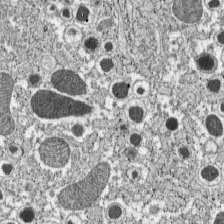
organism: C57BL Mouse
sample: Pancreatic islet